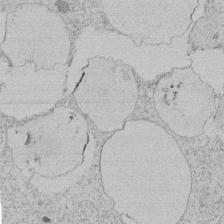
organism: Tetrahymena